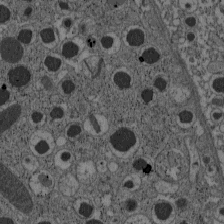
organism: C57BL Mouse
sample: Pancreatic islet